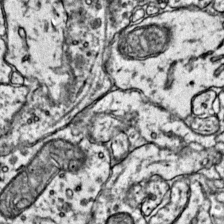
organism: Mouse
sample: Primary visual cortex